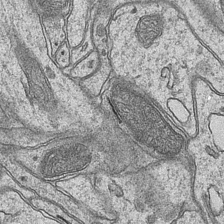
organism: Mouse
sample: CA1 Hippocampus